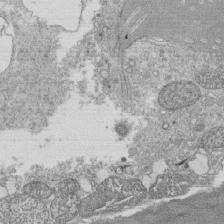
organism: Tetrahymena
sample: Cilia in tetrahymena